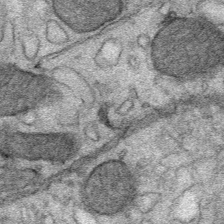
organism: Mouse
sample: Mouse Salivary gland